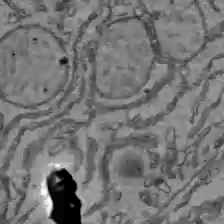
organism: C57BL Mouse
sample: Liver